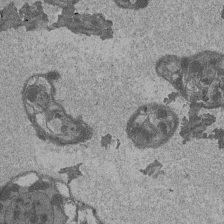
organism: Drosophila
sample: Antenna